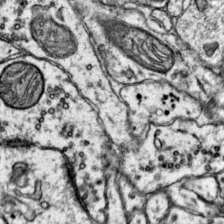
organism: Mouse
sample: Primary visual cortex